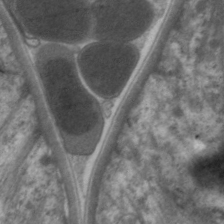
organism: C. elegans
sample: Pharynx